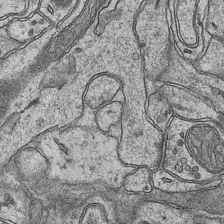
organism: Mouse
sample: CA1 Hippocampus